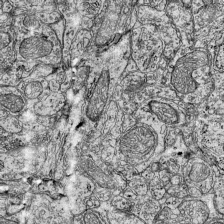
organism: Mouse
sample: Visual Cortex